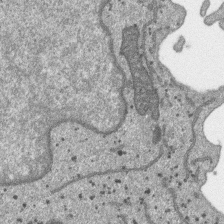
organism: Human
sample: Lung epithelial cells infected with SARS-CoV-2